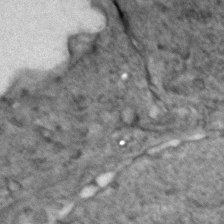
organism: Zebrafish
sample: Zebrafish embryo